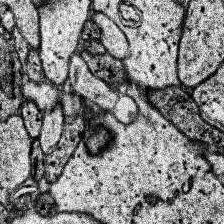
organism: Human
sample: Temporal Lobe